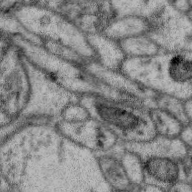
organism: Zebra finch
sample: Brain